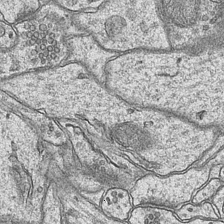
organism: Mouse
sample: CA1 Hippocampus